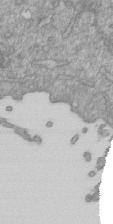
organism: Mouse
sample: ED-1 cell nuclei; centrioles